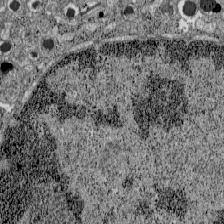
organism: C57BL Mouse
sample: Pancreatic islet